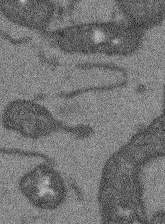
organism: Arabidopsis thaliana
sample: Root tip